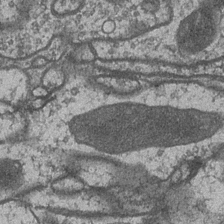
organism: Drosophila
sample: Optic medulla